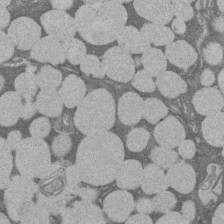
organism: Rat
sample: Salivary granule